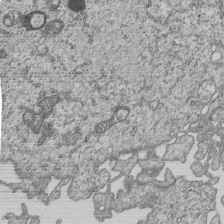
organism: Human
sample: MDA-MB-231 cells